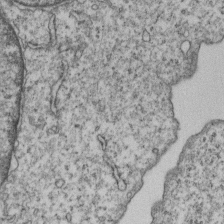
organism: Human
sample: MDA-MB-231 cells